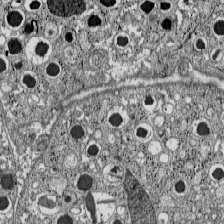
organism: C57BL Mouse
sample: Pancreatic islet